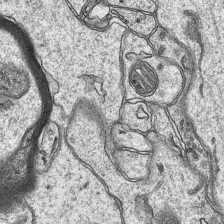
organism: Mouse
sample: CA1 Hippocampus